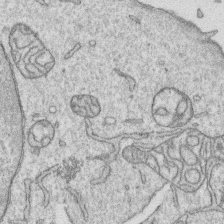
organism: Human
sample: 1205lu cells